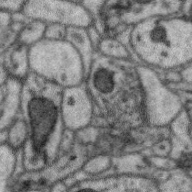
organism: Zebra finch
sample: Brain